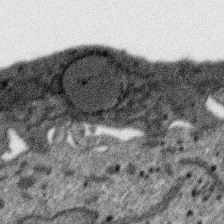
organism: Human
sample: Lung epithelial cells infected with SARS-CoV-2